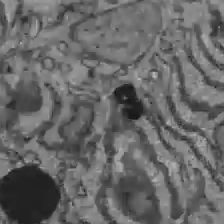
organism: C57BL Mouse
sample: Liver